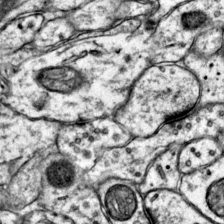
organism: Mouse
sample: Primary visual cortex